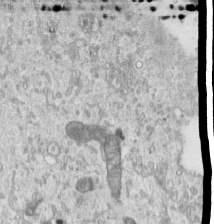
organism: Human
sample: Centriole in RPE cells